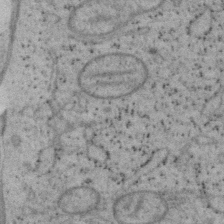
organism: Human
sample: HeLa cells